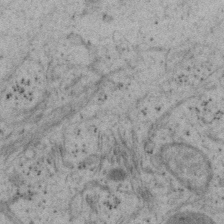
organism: Human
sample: HeLa cells